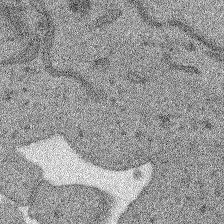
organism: Human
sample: HeLa cells